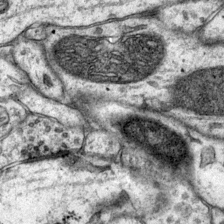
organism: Mouse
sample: Primary visual cortex